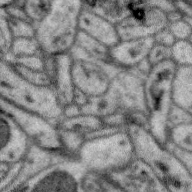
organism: Zebra finch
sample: Brain